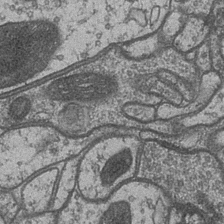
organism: Drosophila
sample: Optic medulla